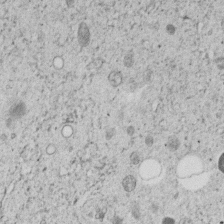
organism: C. elegans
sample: C. elegans embryo early stage